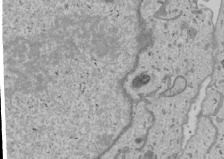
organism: Human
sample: Mitochondria in U2OS cells